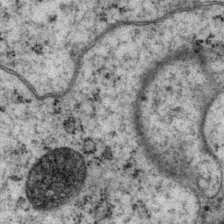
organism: P. pacificus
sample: Pharynx